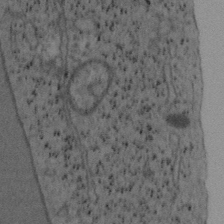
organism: Human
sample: HeLa cells